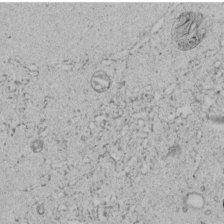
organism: C. elegans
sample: C. elegans embryo early stage